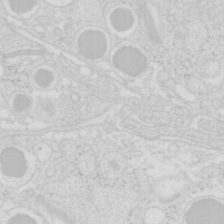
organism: Mouse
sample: Pancreas